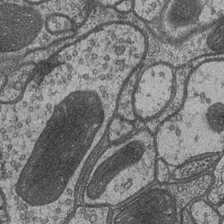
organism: Drosophila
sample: Optic medulla